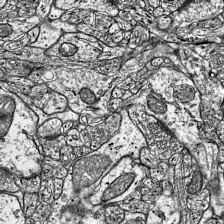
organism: Mouse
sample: Visual Cortex